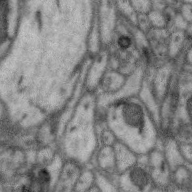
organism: Zebra finch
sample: Brain